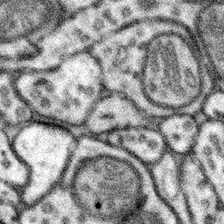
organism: Mouse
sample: Somatosensory cortex neuropil